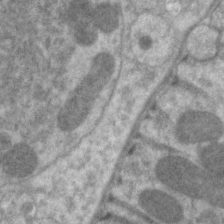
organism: C. elegans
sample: Pharynx